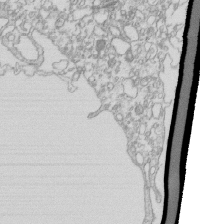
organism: Mouse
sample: Macrophages